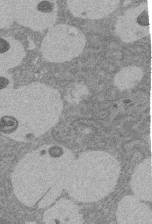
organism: Rat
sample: Salivary granule